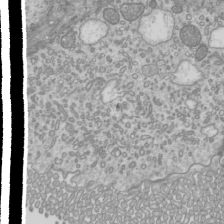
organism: Mouse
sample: Cilia; mouse epididymis